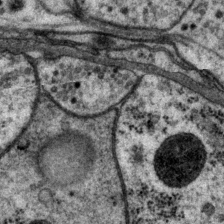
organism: P. pacificus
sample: Pharynx